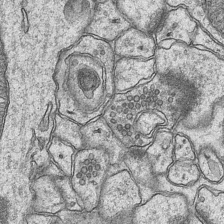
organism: Mouse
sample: CA1 Hippocampus